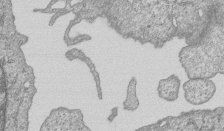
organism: Human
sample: MDA-MB-231 cells